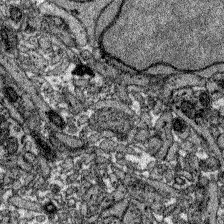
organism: Zebrafish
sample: Larval olfactory bulb